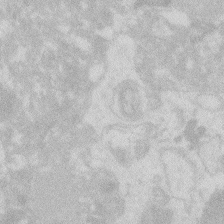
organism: Zebrafish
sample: Macrophage